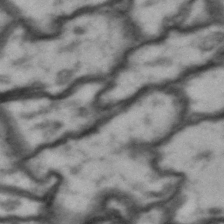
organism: Drosophila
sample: Brain